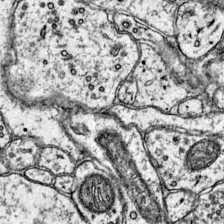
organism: Mouse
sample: Primary visual cortex